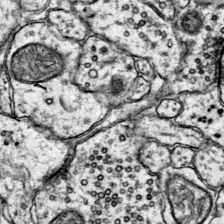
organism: Mouse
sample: Primary visual cortex